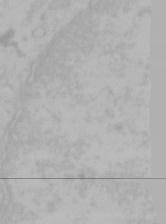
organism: Mouse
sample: Choroid plexus